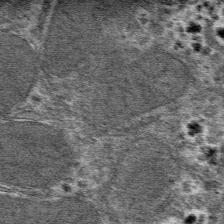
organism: Mouse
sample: Mouse hepatocytes